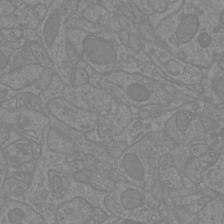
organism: Mouse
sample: Cortical neurons